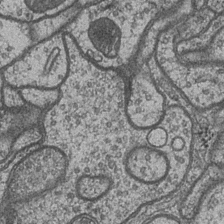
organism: Drosophila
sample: Optic medulla